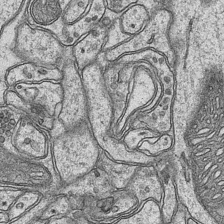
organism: Mouse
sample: CA1 Hippocampus